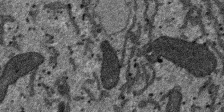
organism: Human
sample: Lung epithelial cells infected with SARS-CoV-2